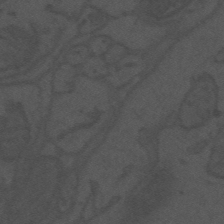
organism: Mouse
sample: Suprachiasmatic nucleus